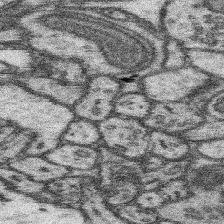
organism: Mouse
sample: Somatosensory cortex neuropil